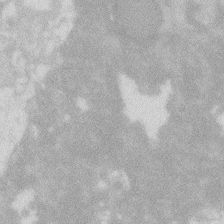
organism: Zebrafish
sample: Macrophage